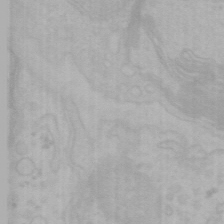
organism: Mouse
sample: Choroid plexus